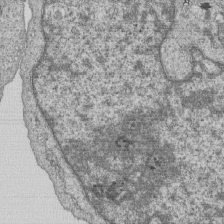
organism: Human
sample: MDA-MB-231 cells